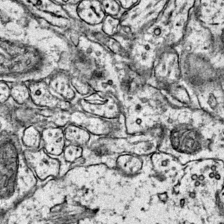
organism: Mouse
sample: Primary visual cortex